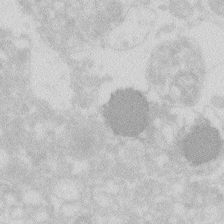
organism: Zebrafish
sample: Macrophage